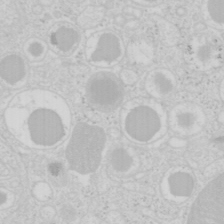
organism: Mouse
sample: Pancreas